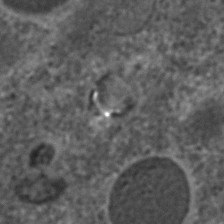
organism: C. elegans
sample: C. elegans embryo